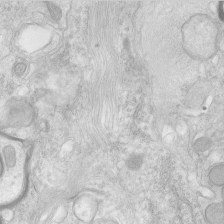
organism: Human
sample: Neocortex